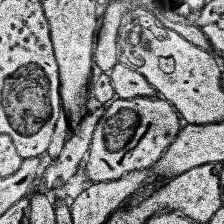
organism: Human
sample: Temporal Lobe